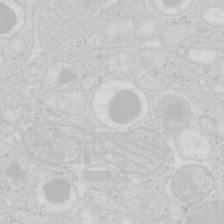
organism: Mouse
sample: Pancreas